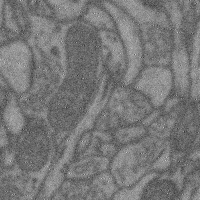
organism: Mouse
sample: Cerebral cortex